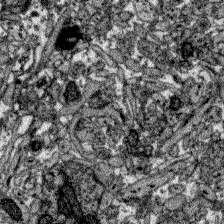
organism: Zebrafish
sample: Larval olfactory bulb